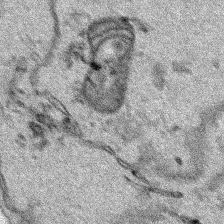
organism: Human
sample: Mitochondria in HCT116 cells